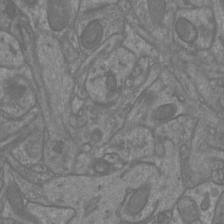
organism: Mouse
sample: Cortical neurons